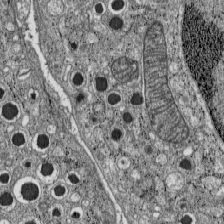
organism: C57BL Mouse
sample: Pancreatic islet